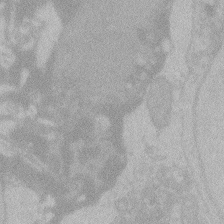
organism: Zebrafish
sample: Macrophage infected with Toxoplasma gondii